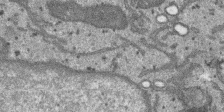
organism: Human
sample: Lung epithelial cells infected with SARS-CoV-2